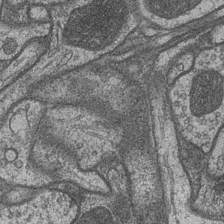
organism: Drosophila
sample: Optic medulla